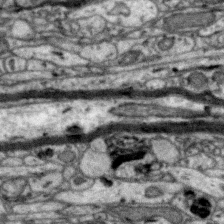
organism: Zebra finch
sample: Brain